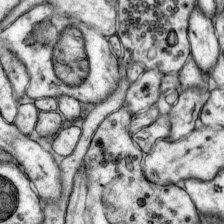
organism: Mouse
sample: Primary visual cortex